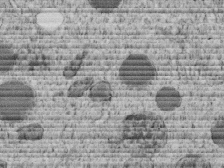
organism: C. elegans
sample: C. elegans embryo early stage